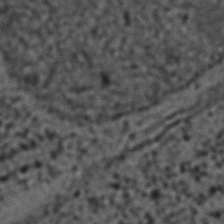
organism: C. elegans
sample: C. elegans embryo